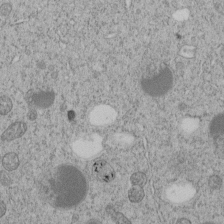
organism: C. elegans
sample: C. elegans embryo early stage